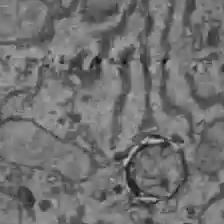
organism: C57BL Mouse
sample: Liver